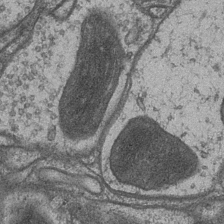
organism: Drosophila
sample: Optic medulla